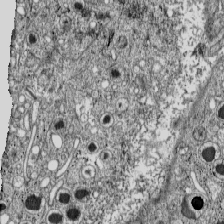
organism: C57BL Mouse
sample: Pancreatic islet